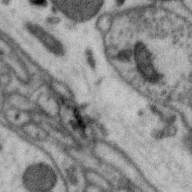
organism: Zebra finch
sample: Brain